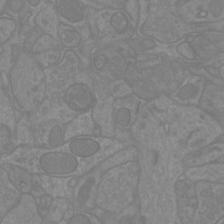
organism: Mouse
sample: Cortical neurons